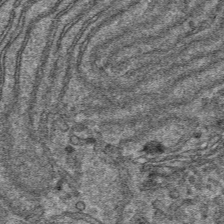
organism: Mouse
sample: Mouse hepatocytes